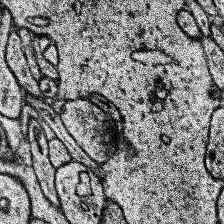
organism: Human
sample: Temporal Lobe